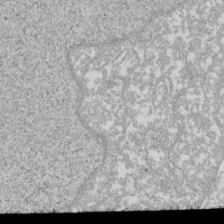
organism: Xenopus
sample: Cilia; centrioles in frog embryo cells